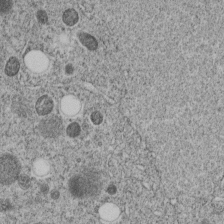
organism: C. elegans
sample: C. elegans embryo early stage